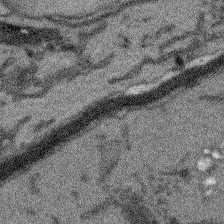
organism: Arabidopsis thaliana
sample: Root tip